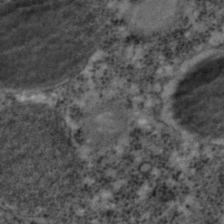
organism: C. elegans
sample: C. elegans embryo